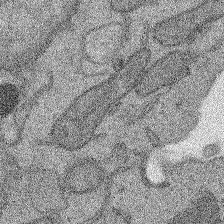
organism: Human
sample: HeLa cells